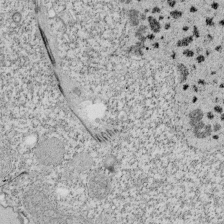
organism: Tetrahymena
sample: Cilia in tetrahymena